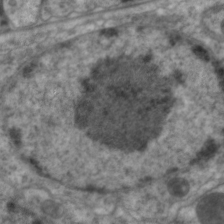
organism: C. elegans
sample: Pharynx